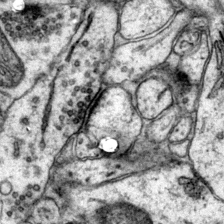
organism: Mouse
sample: Primary visual cortex